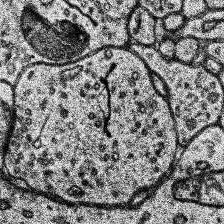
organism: Human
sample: Temporal Lobe